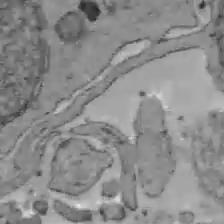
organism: C57BL Mouse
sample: Liver